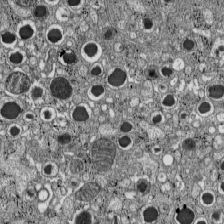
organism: C57BL Mouse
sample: Pancreatic islet